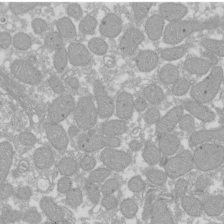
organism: Xenopus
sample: Cilia; centrioles in frog embryo cells